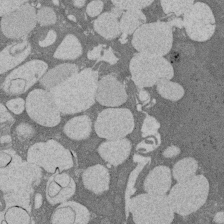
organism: Rat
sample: Salivary granule